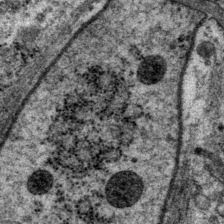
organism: P. pacificus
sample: Pharynx